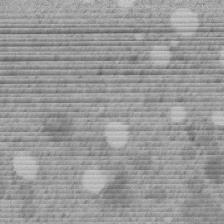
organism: C. elegans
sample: C. elegans embryo early stage